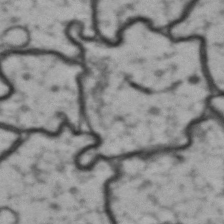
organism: Drosophila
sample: Brain